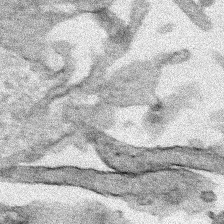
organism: Human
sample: Mitochondria in HCT116 cells